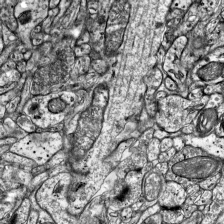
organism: Mouse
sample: Visual Cortex